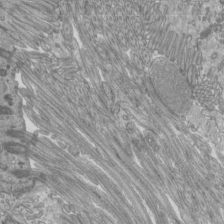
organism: Mouse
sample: Cilia; mouse epididymis